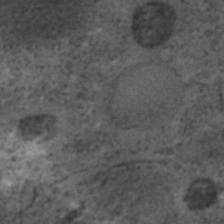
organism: C. elegans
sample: C. elegans embryo